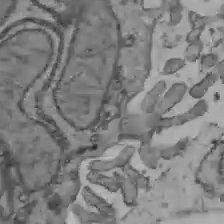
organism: C57BL Mouse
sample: Liver